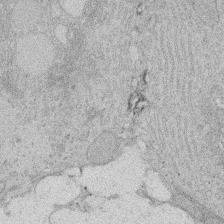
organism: Rat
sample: Salivary granule